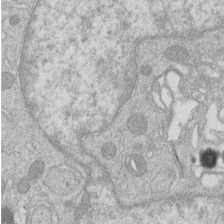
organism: Human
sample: Macrophage cells